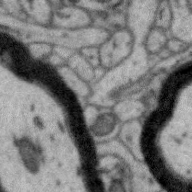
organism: Zebra finch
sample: Brain